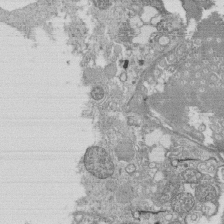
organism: Tetrahymena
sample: Cilia in tetrahymena